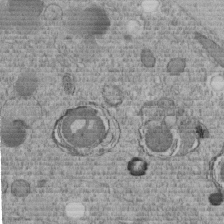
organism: C. elegans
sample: C. elegans embryo early stage